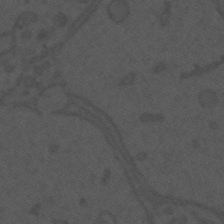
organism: Mouse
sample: Suprachiasmatic nucleus